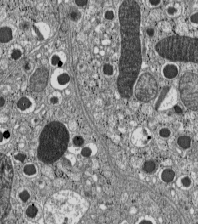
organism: C57BL Mouse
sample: Pancreatic islet